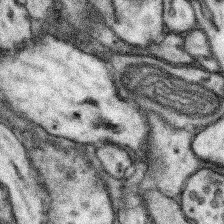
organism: Mouse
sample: Somatosensory cortex neuropil